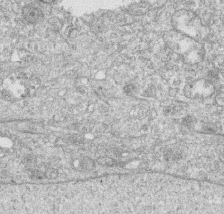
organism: Human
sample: HeLa cell HIV synapse